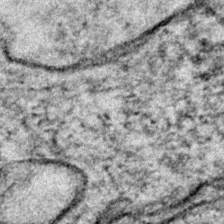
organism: Zebrafish